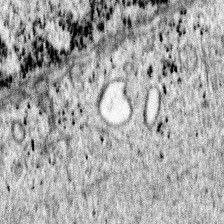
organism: Human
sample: HeLa cells